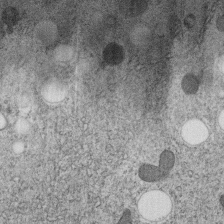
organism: C. elegans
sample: C. elegans embryo early stage